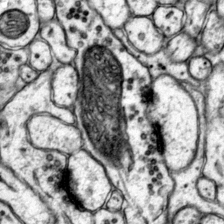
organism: Mouse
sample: Primary visual cortex